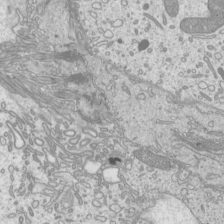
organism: Mouse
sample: Cilia; mouse epididymis